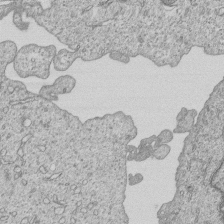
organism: Human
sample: MDA-MB-231 cells